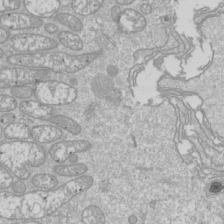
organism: Drosophila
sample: Cell division; meiosis; drosophila spermatocytes